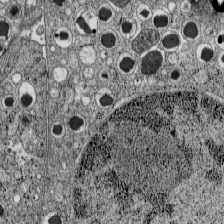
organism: C57BL Mouse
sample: Pancreatic islet